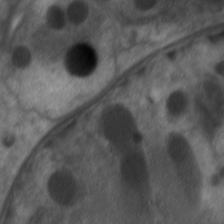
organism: C. elegans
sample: Pharynx